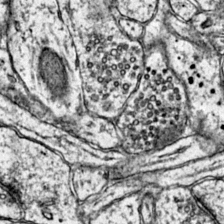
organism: Mouse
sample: Primary visual cortex